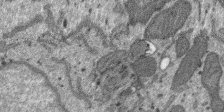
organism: Human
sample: Lung epithelial cells infected with SARS-CoV-2